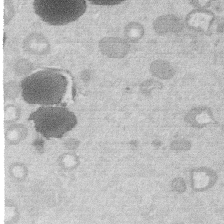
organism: Mouse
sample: Dividing mouse embryo 1 cell stage